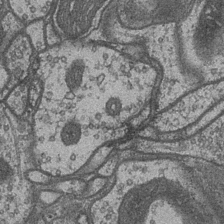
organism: Drosophila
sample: Optic medulla